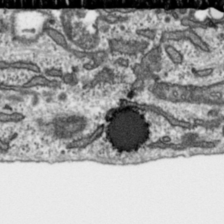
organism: Toxoplasma gondii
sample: Parasites in a vacuole inside a host cell